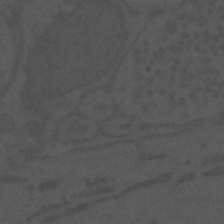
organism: Mouse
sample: Suprachiasmatic nucleus